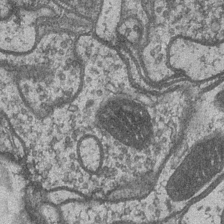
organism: Drosophila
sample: Optic medulla